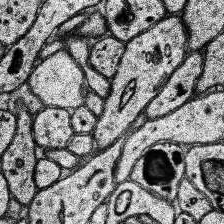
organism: Human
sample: Temporal Lobe